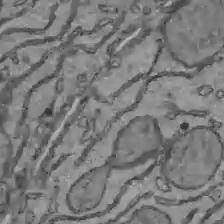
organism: C57BL Mouse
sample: Liver